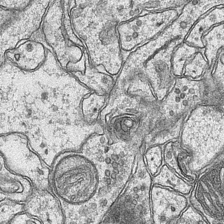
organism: Mouse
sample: CA1 Hippocampus